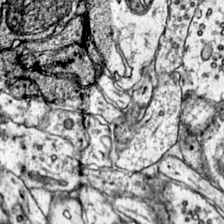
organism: Mouse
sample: Primary visual cortex